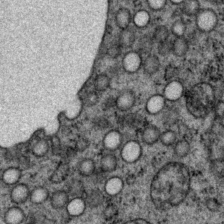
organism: P. pacificus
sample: Pharynx